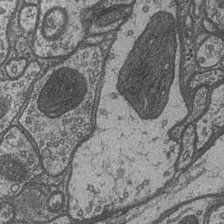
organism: Drosophila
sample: Optic medulla